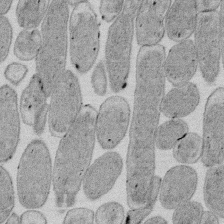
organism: E. coli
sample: Bacterial nucleoid